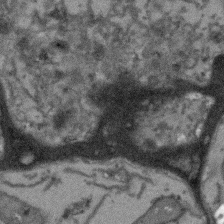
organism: Arabidopsis thaliana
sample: Root tip